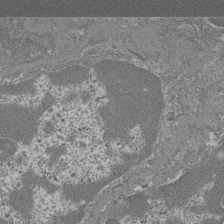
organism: Mouse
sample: Glomerulus